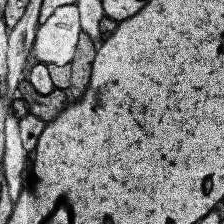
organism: Human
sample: Temporal Lobe